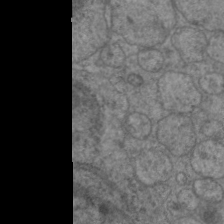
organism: C. elegans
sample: Pharynx